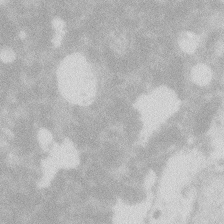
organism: Zebrafish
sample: Macrophage